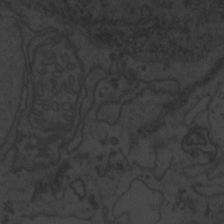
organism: Zebrafish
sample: Macrophage infected with Toxoplasma gondii